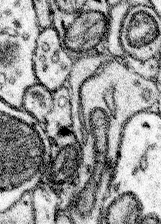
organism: Mouse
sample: Somatosensory cortex neuropil